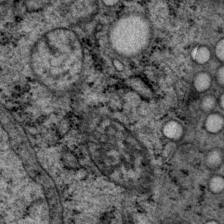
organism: P. pacificus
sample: Pharynx